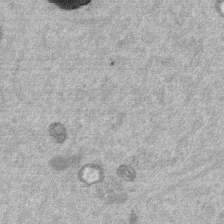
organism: Mouse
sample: Dividing mouse embryo 1 cell stage